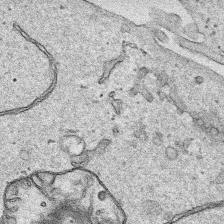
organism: Human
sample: Mitochondria in HCT116 cells